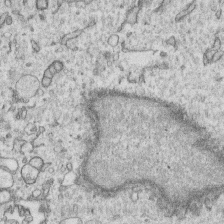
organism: Human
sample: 1205lu cells